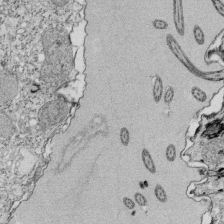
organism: Tetrahymena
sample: Cilia in tetrahymena